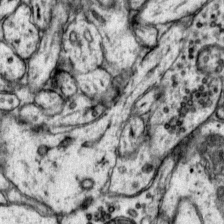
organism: Mouse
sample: Primary visual cortex